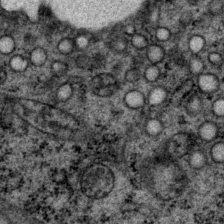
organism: P. pacificus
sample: Pharynx